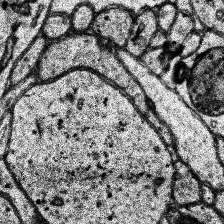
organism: Human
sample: Temporal Lobe